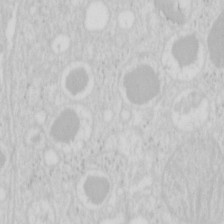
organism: Mouse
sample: Pancreas